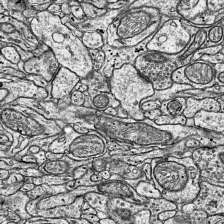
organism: Mouse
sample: Visual Cortex